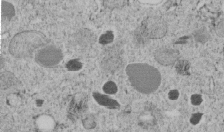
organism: C. elegans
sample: C. elegans embryo early stage